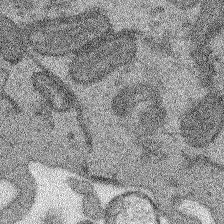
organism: Human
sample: HeLa cells